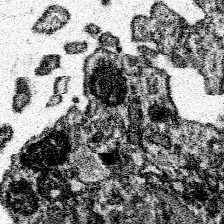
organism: Spongilla lacustris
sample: Neuroid cell